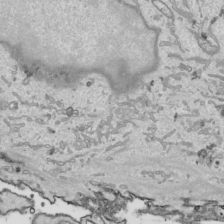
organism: Human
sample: Mitochondria in HCT116 cells